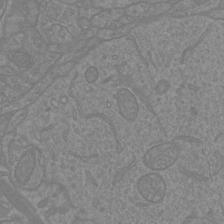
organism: Mouse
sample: Cortical neurons